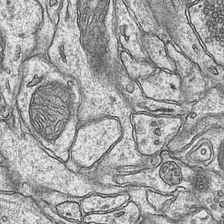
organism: Mouse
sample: CA1 Hippocampus